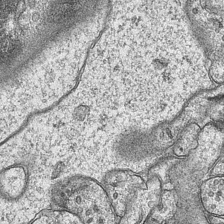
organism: Mouse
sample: CA1 Hippocampus